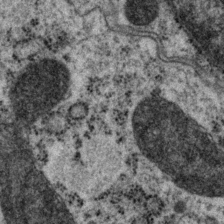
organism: P. pacificus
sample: Pharynx